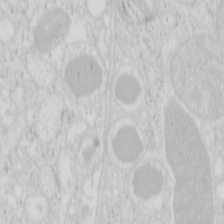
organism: Mouse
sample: Pancreas